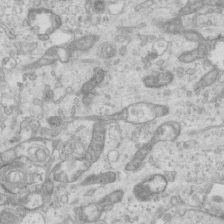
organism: Mouse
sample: Centriole in ependymal cells